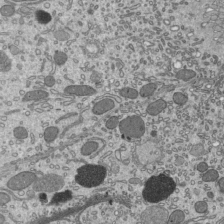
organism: Mouse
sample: Mouse epididymis efferent ductule cilia